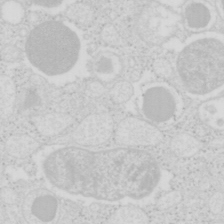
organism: Mouse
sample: Pancreas